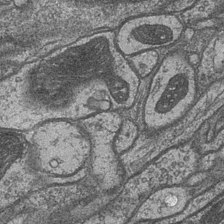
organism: Drosophila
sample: Optic medulla